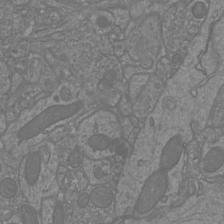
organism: Mouse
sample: Cortical neurons